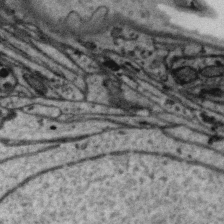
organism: Zebra finch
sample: Brain